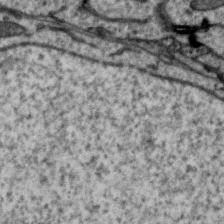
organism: Zebra finch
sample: Brain